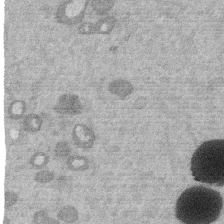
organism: Mouse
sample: Dividing mouse embryo 1 cell stage